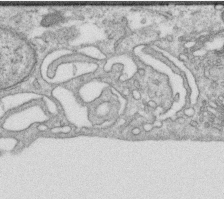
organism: Human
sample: Centriole in RPE cells